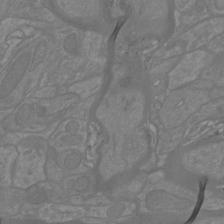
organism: Mouse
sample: Cortical neurons